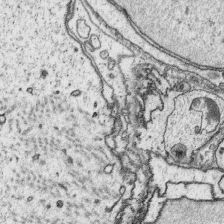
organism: Platynereis dumerilii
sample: Parapodia